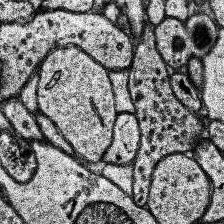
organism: Human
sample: Temporal Lobe